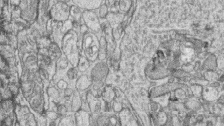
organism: Zebrafish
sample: synaptic ribbons in rod cells and cone cells